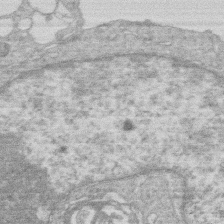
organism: Human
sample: Macrophage cells